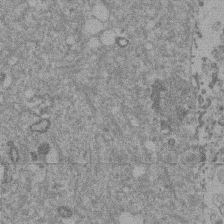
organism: Mouse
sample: Dividing mouse embryo 1 cell stage